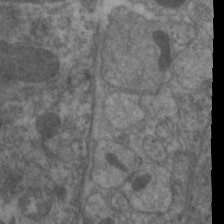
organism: C. elegans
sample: Pharynx